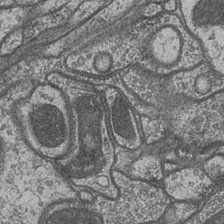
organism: Drosophila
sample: Optic medulla